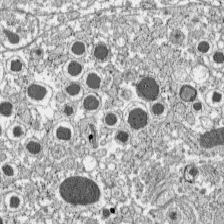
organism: C57BL Mouse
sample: Pancreatic islet